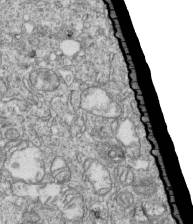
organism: Human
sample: HeLa cell HIV synapse